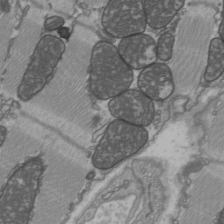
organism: C57BL Mouse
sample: Heart